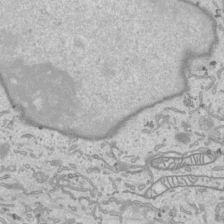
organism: Human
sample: Mitochondria in HCT116 cells